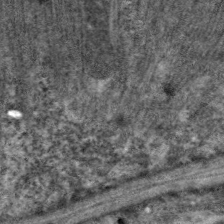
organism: C. elegans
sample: Pharynx